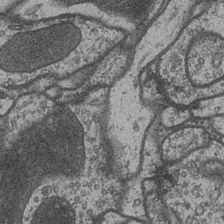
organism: Drosophila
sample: Optic medulla